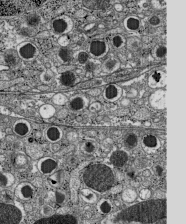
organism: C57BL Mouse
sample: Pancreatic islet